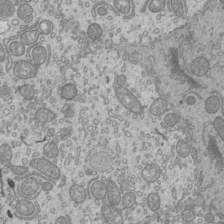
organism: Mouse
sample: Cilia; mouse epididymis